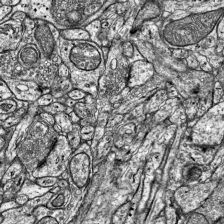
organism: Mouse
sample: Visual Cortex